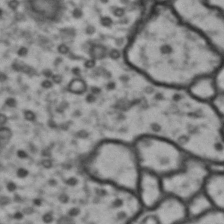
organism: Drosophila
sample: Brain